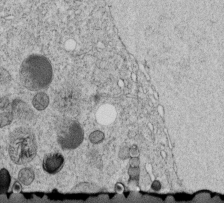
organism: C. elegans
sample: C. elegans embryo early stage